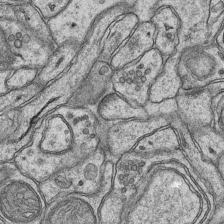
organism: Mouse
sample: CA1 Hippocampus